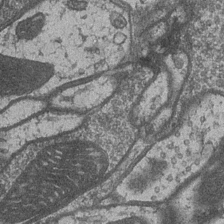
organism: Drosophila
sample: Optic medulla